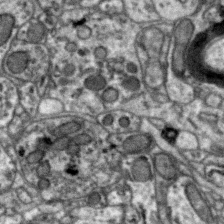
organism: Zebra finch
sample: Brain